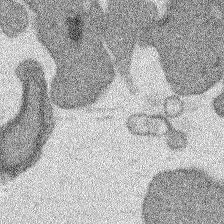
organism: Human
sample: HeLa cells